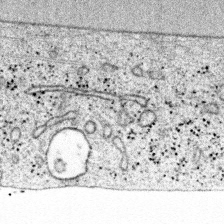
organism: Human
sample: HeLa cells